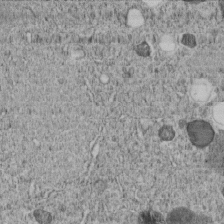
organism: C. elegans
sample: C. elegans embryo early stage